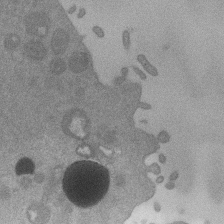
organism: Mouse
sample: Dividing mouse embryo 1 cell stage